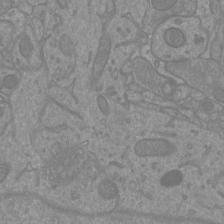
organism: Mouse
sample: Cortical neurons